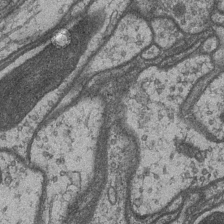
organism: Drosophila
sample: Optic medulla